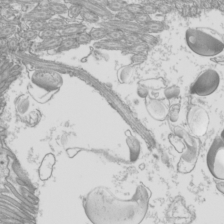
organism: Mouse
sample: Cilia; mouse epididymis